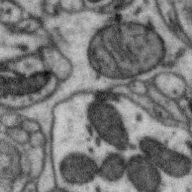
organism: Zebra finch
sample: Brain